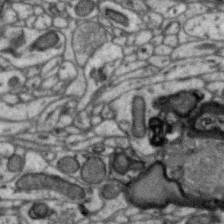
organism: Zebra finch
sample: Brain